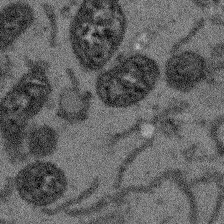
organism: Arabidopsis thaliana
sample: Root tip